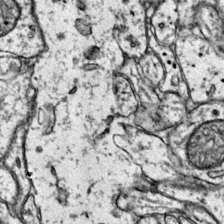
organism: Mouse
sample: Primary visual cortex